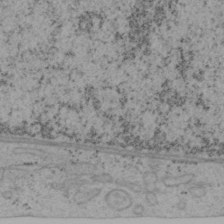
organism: Human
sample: HeLa cells